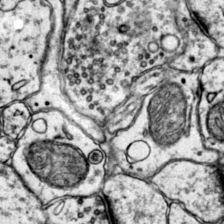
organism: Mouse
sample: Primary visual cortex